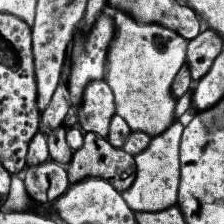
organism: Human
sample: Temporal Lobe